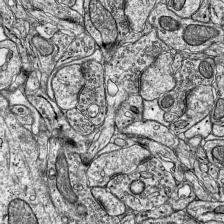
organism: Mouse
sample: Visual Cortex